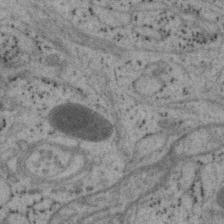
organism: Human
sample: HeLa cells